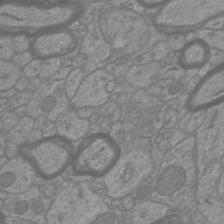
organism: Mouse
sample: Cortical neurons